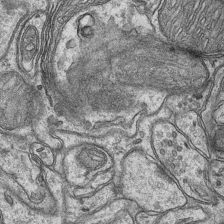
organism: Mouse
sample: CA1 Hippocampus